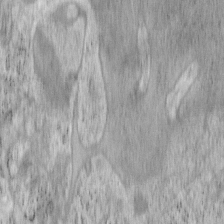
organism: Human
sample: HeLa cells